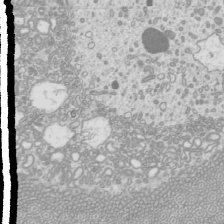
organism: Mouse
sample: Cilia; mouse epididymis